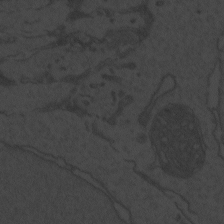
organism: Zebrafish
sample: Macrophage infected with Toxoplasma gondii